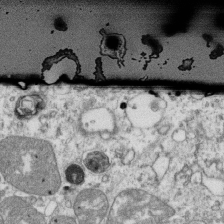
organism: Mouse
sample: Activated OT-1 CD8+ T cells